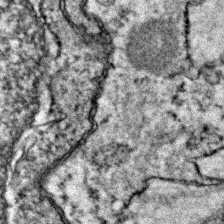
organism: Zebrafish